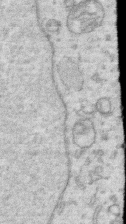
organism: Human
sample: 1205lu cells